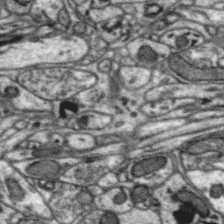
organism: Zebra finch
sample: Brain